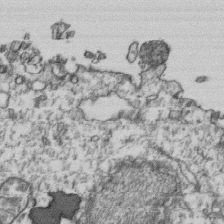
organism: Human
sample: Activated Jurkat CD4+ T cells